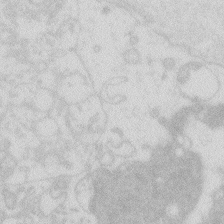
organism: Zebrafish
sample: Macrophage